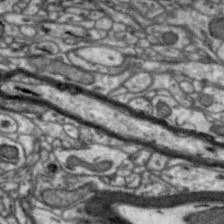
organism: Zebra finch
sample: Brain